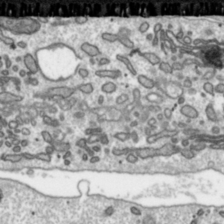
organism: Toxoplasma gondii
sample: Parasites in a vacuole inside a host cell